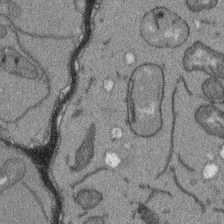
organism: Arabidopsis thaliana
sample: Root tip